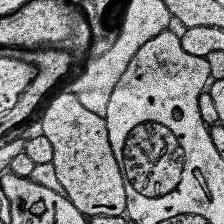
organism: Human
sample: Temporal Lobe